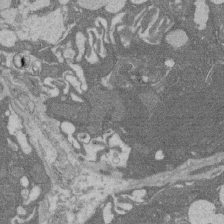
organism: Rat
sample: Salivary granule